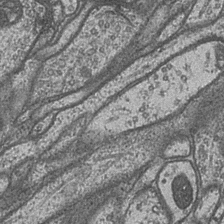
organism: Drosophila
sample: Optic medulla